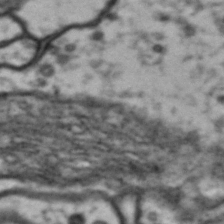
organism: Drosophila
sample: Brain